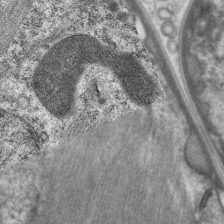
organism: C. elegans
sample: Pharynx